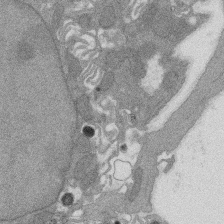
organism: Rat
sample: Salivary granule